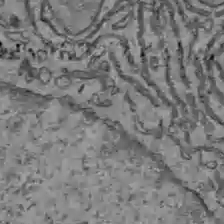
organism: C57BL Mouse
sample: Liver